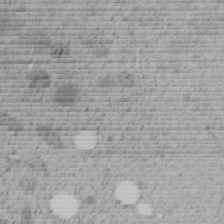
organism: C. elegans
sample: C. elegans embryo early stage